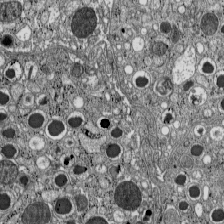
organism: C57BL Mouse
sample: Pancreatic islet